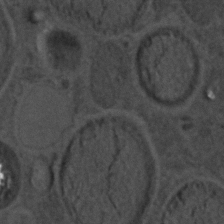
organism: C. elegans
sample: C. elegans embryo